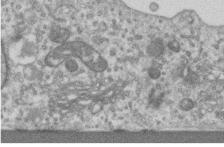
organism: Human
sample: Centriole in RPE cells